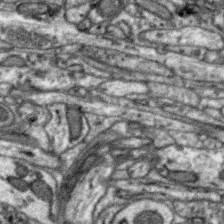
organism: Zebra finch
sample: Brain